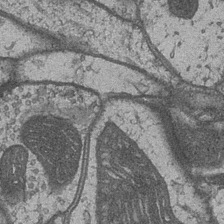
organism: Drosophila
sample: Optic medulla